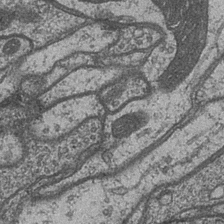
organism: Drosophila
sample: Optic medulla